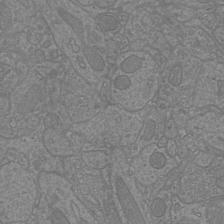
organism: Mouse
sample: Cortical neurons